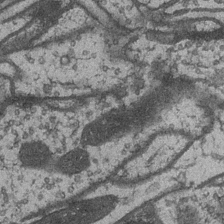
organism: Drosophila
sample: Optic medulla